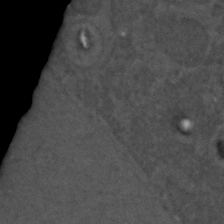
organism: C. elegans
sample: C. elegans embryo